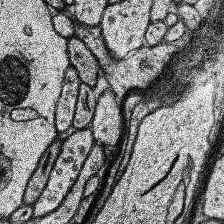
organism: Human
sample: Temporal Lobe